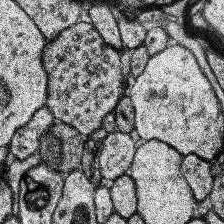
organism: Human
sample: Temporal Lobe